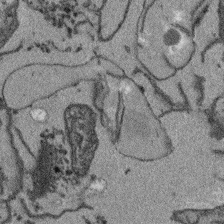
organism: Arabidopsis thaliana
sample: Root tip